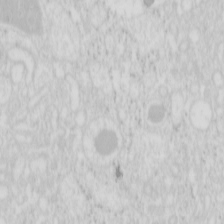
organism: Mouse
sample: Pancreas